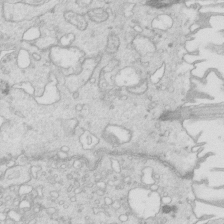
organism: Mouse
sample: Multiciliated cells